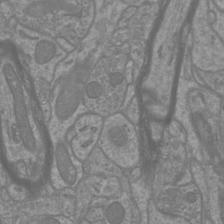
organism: Mouse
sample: Cortical neurons